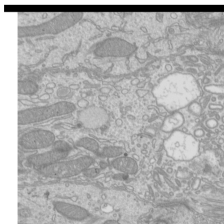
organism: Mouse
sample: Cilia; mouse epididymis